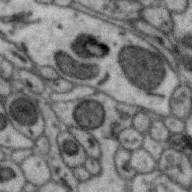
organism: Zebra finch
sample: Brain